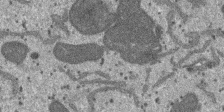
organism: Human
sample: Lung epithelial cells infected with SARS-CoV-2